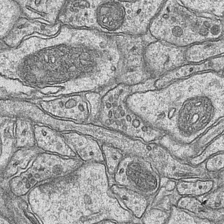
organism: Mouse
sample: CA1 Hippocampus